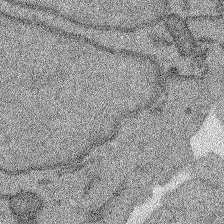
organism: Human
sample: HeLa cells